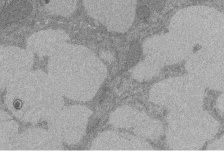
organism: Rat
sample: Salivary granule